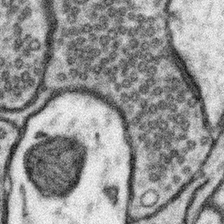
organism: Mouse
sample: Somatosensory cortex neuropil